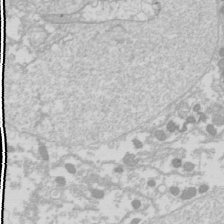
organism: Drosophila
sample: Cell division; meiosis; drosophila spermatocytes